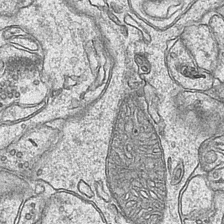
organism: Mouse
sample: CA1 Hippocampus